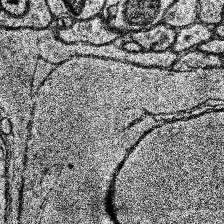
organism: Human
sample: Temporal Lobe